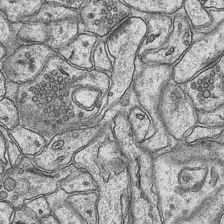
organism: Mouse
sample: CA1 Hippocampus